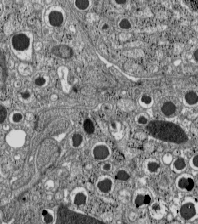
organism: C57BL Mouse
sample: Pancreatic islet